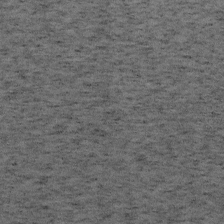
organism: Mouse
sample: OT-I killer T cells with ID8 ovarian cancer cells